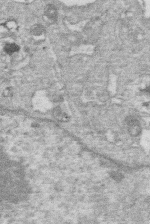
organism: Human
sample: Macrophage cells